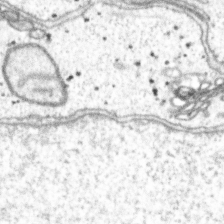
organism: Human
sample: HeLa cells